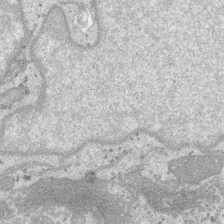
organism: Human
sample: Lung epithelial cells infected with SARS-CoV-2